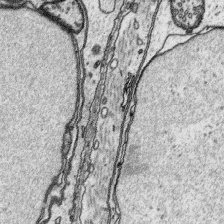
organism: Platynereis dumerilii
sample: Parapodia